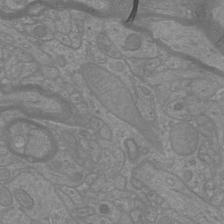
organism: Mouse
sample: Cortical neurons